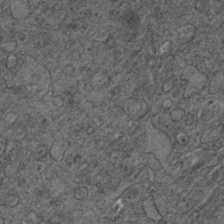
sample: Trachea